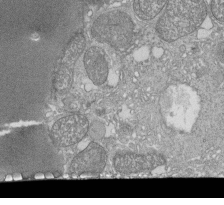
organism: Tetrahymena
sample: Cilia in tetrahymena